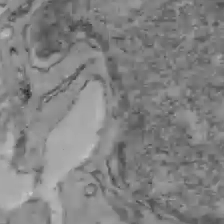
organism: C57BL Mouse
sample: Liver